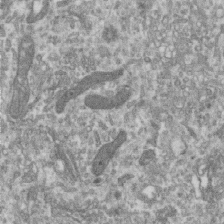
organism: Human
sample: Centriole in RPE cells